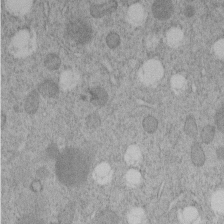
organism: C. elegans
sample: C. elegans embryo early stage